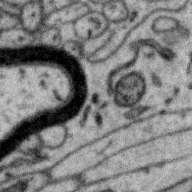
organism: Zebra finch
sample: Brain